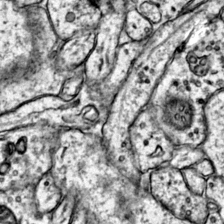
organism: Mouse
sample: Primary visual cortex